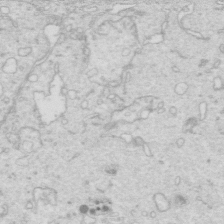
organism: Mouse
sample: Multiciliated cells